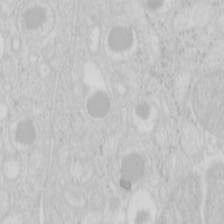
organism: Mouse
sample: Pancreas